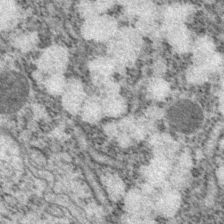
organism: P. pacificus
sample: Pharynx